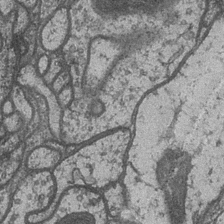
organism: Drosophila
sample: Optic medulla